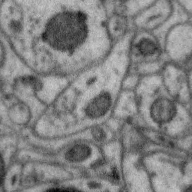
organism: Zebra finch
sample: Brain